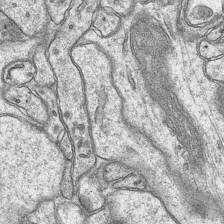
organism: Mouse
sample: CA1 Hippocampus